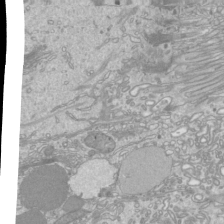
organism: Mouse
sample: Cilia; mouse epididymis